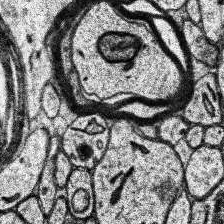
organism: Human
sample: Temporal Lobe